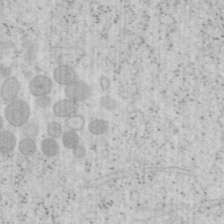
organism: Human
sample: HeLa cells